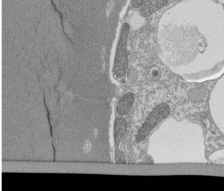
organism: Tetrahymena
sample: Cilia in tetrahymena